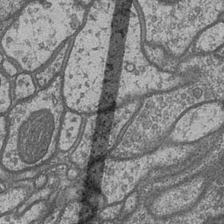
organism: Drosophila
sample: Optic medulla